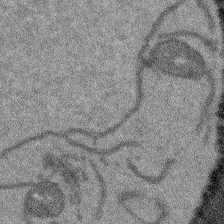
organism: Arabidopsis thaliana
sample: Root tip